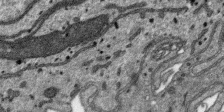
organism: Human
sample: Lung epithelial cells, uninfected (mock) control